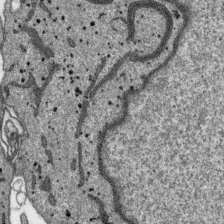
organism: Human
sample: Lung epithelial cells, uninfected (mock) control